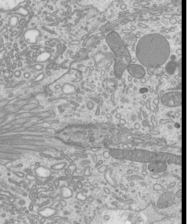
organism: Mouse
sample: Cilia; mouse epididymis